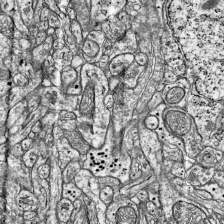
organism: Mouse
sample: Visual Cortex